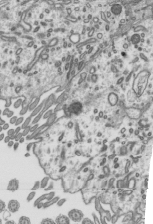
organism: Mouse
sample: Mouse epididymis efferent ductule cilia